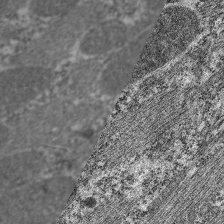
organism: C. elegans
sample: Pharynx